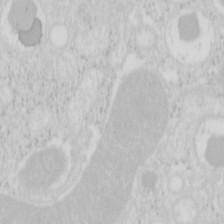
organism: Mouse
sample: Pancreas